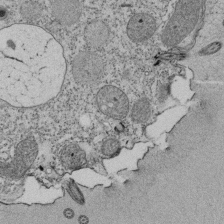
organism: Tetrahymena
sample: Cilia in tetrahymena